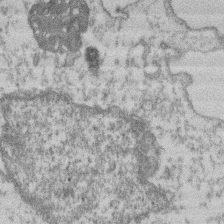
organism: Mouse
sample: T cell stromal cell synapse